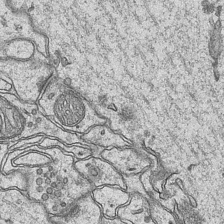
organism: Mouse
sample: CA1 Hippocampus